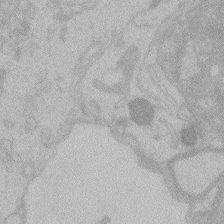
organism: Zebrafish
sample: Macrophage infected with Toxoplasma gondii